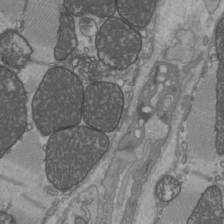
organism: C57BL Mouse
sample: Heart